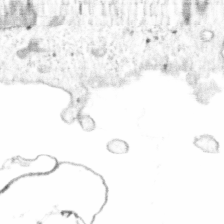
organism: Human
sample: HeLa cells